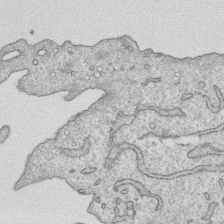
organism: Human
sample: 1205lu cells